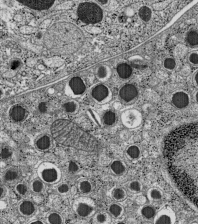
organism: C57BL Mouse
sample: Pancreatic islet